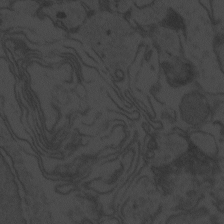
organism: Zebrafish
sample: Macrophage infected with Toxoplasma gondii